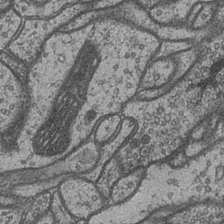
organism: Drosophila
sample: Optic medulla